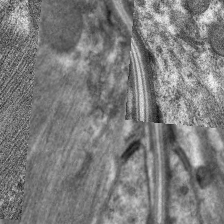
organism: C. elegans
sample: Pharynx